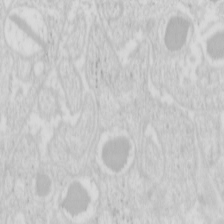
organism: Mouse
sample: Pancreas